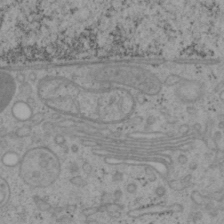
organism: Human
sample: HeLa cells